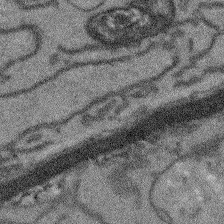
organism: Arabidopsis thaliana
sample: Root tip